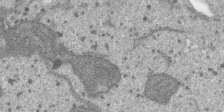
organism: Human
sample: Lung epithelial cells infected with SARS-CoV-2